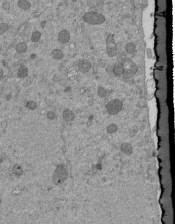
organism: Mouse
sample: ED-1 cell nuclei; centrioles